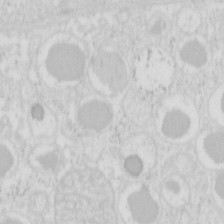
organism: Mouse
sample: Pancreas